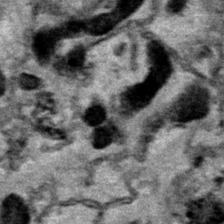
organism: Human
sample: Mitochondria in HCT116 cells